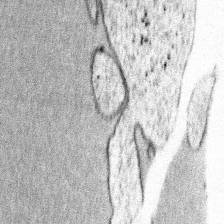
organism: Human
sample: HeLa cells